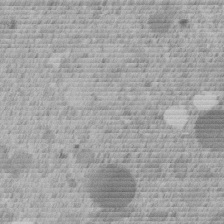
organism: C. elegans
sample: C. elegans embryo early stage